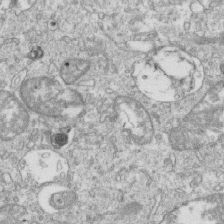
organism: Mouse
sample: Activated OT-1 CD8+ T cells